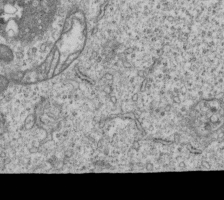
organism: Human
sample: MDA-MB-231 cells